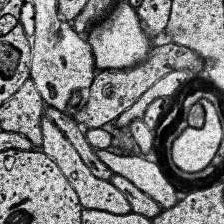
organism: Human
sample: Temporal Lobe